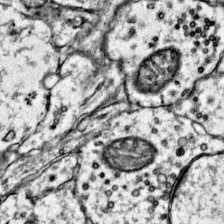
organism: Mouse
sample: Primary visual cortex